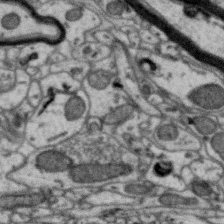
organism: Zebra finch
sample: Brain